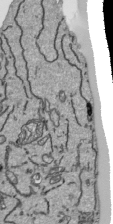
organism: Human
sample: Mitochondria in HCT116 cells